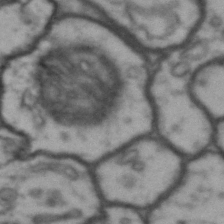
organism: Drosophila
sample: Brain